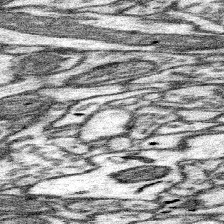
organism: Mouse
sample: Somatosensory cortex neuropil